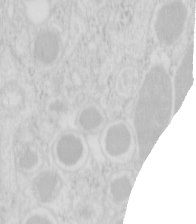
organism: Mouse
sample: Pancreas